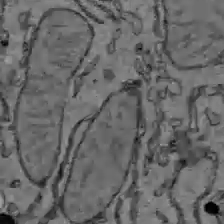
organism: C57BL Mouse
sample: Liver